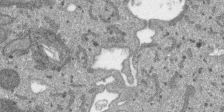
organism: Human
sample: Lung epithelial cells infected with SARS-CoV-2